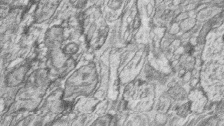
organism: Zebrafish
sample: synaptic ribbons in rod cells and cone cells